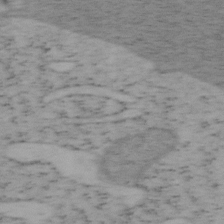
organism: Mouse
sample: OT-I killer T cells with ID8 ovarian cancer cells